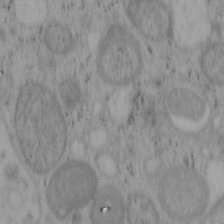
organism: Mouse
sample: OT-I killer T cells with ID8 ovarian cancer cells